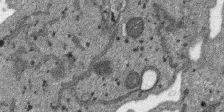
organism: Human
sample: Lung epithelial cells infected with SARS-CoV-2